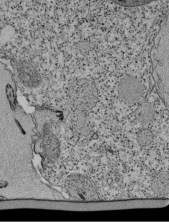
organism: Tetrahymena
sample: Cilia in tetrahymena